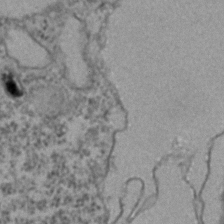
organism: Zebrafish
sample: Zebrafish embryo